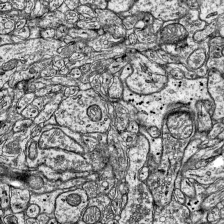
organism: Mouse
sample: Visual Cortex